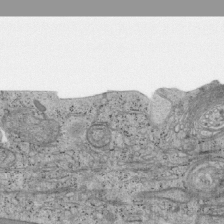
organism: Human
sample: HeLa cells